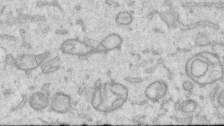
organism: Human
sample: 1205lu cells